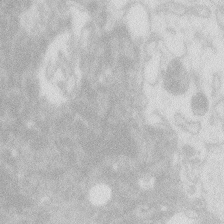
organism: Zebrafish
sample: Macrophage